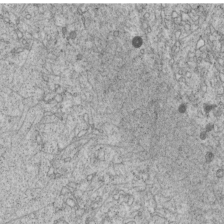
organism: C. elegans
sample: C. elegans embryo early stage